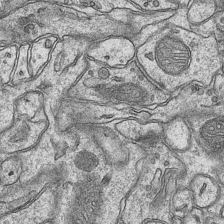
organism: Mouse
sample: CA1 Hippocampus